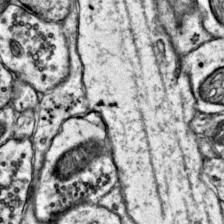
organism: Mouse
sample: Primary visual cortex